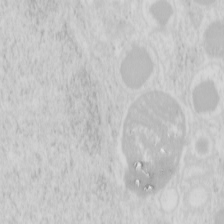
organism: Mouse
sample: Pancreas